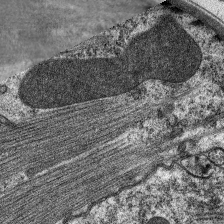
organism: C. elegans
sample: Pharynx